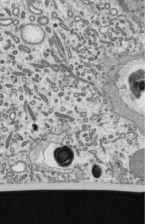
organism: Mouse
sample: Mouse epididymis efferent ductule cilia